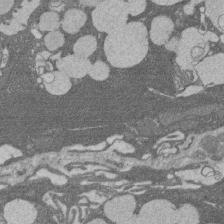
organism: Rat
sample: Salivary granule